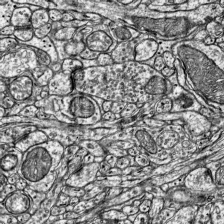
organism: Mouse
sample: Visual Cortex